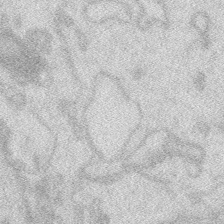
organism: Zebrafish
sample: Macrophage